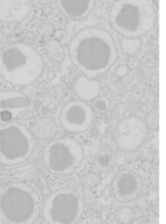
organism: Mouse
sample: Pancreas